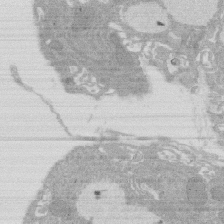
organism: Rat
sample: Salivary granule